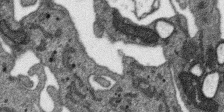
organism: Human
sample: Lung epithelial cells infected with SARS-CoV-2